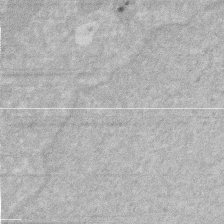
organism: Human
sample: HIV infected U937 cells